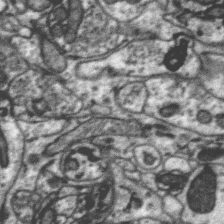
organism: Zebra finch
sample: Brain